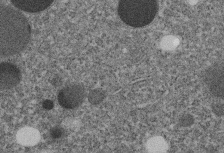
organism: C. elegans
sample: C. elegans embryo early stage